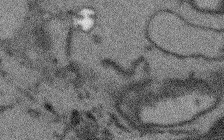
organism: Arabidopsis thaliana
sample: Root tip